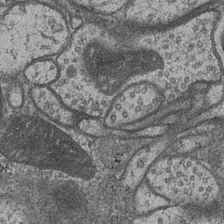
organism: Drosophila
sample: Optic medulla